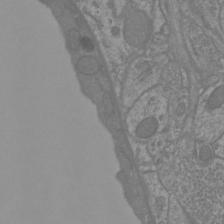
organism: Mouse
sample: Cortical neurons